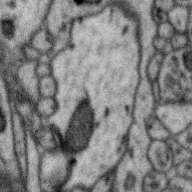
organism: Zebra finch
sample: Brain